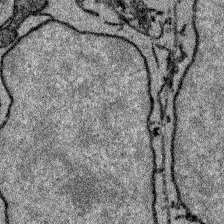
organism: Zebrafish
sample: Larval olfactory bulb